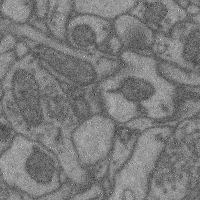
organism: Mouse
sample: Cerebral cortex